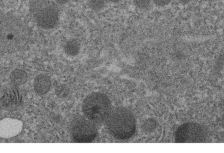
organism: C. elegans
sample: C. elegans embryo early stage